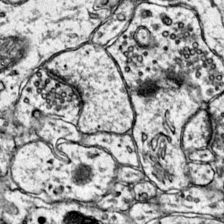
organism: Mouse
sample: Primary visual cortex